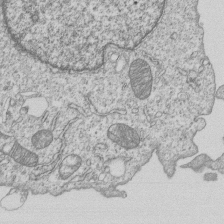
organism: Human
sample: MDA-MB-231 cells